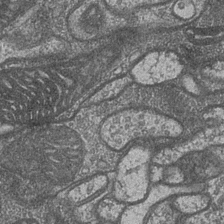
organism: Drosophila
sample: Optic medulla